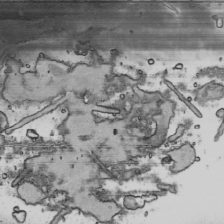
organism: Human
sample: Mitochondria in HCT116 cells